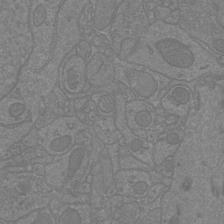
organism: Mouse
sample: Cortical neurons